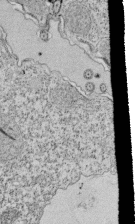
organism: Tetrahymena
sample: Cilia in tetrahymena